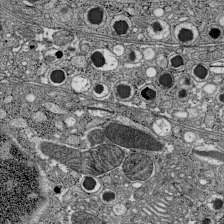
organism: C57BL Mouse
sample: Pancreatic islet